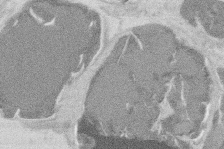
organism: Mouse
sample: T cell stromal cell synapse